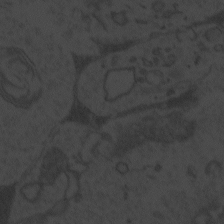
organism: Zebrafish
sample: Macrophage infected with Toxoplasma gondii